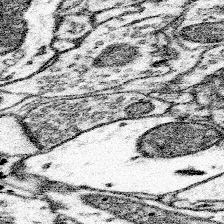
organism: Mouse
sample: Somatosensory cortex neuropil